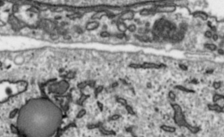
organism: Toxoplasma gondii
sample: Parasites in a vacuole inside a host cell